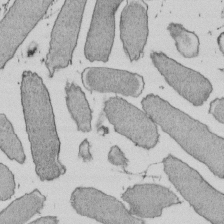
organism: E. coli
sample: Bacterial nucleoid